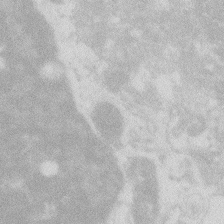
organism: Zebrafish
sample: Macrophage